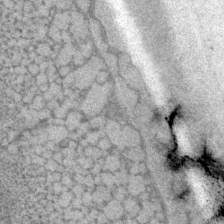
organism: P. pacificus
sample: Pharynx